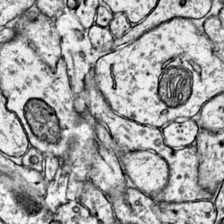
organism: Mouse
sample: Primary visual cortex